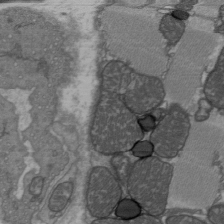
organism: C57BL Mouse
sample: Heart